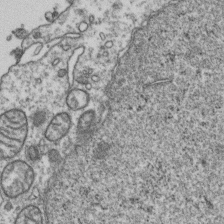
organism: Human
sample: Activated Jurkat CD4+ T cells